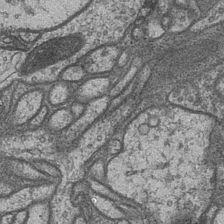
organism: Drosophila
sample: Optic medulla